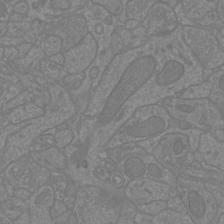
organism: Mouse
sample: Cortical neurons